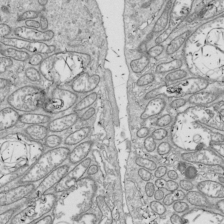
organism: Drosophila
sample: Cell division; meiosis; drosophila spermatocytes